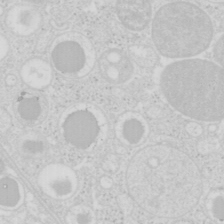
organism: Mouse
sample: Pancreas